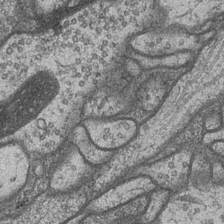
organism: Drosophila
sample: Optic medulla